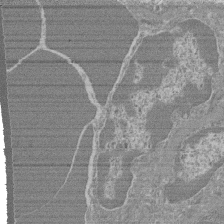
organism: Mouse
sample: Glomerulus